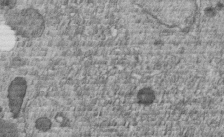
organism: C. elegans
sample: C. elegans embryo early stage